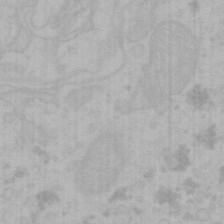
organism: Mouse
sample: Choroid plexus